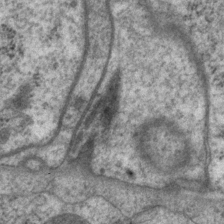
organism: P. pacificus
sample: Pharynx